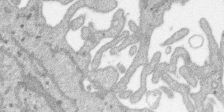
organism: Human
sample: Lung epithelial cells infected with SARS-CoV-2